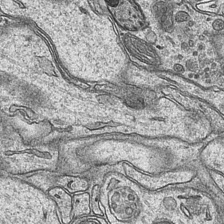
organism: Mouse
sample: CA1 Hippocampus